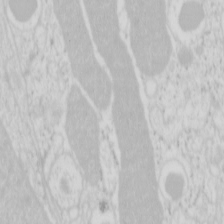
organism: Mouse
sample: Pancreas